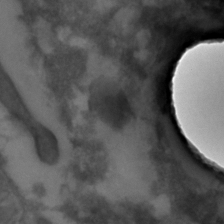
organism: C. elegans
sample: C. elegans embryo